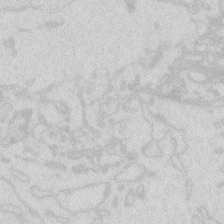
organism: Zebrafish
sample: Macrophage